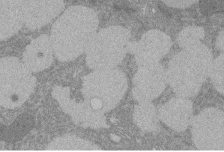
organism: Rat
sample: Salivary granule